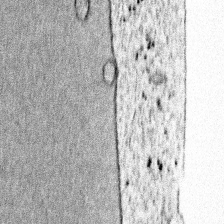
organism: Human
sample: HeLa cells